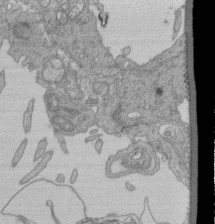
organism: Human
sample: Retinal organoid Rod and Cone cells